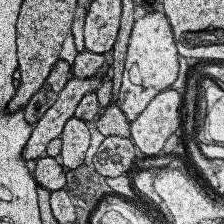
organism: Human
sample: Temporal Lobe